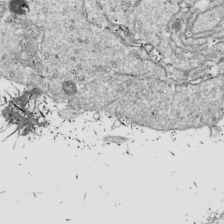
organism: Drosophila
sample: Cell division; meiosis; drosophila spermatocytes